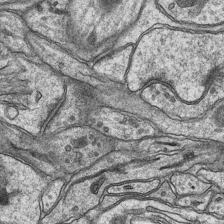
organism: Mouse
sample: CA1 Hippocampus